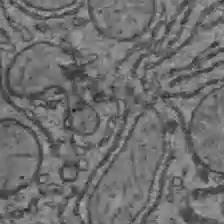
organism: C57BL Mouse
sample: Liver